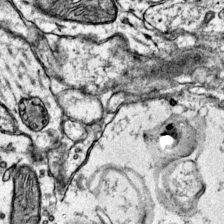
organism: Mouse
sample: Primary visual cortex